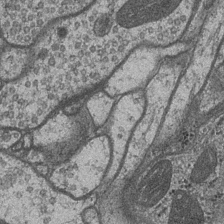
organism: Drosophila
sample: Optic medulla